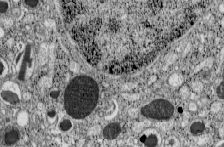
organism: C57BL Mouse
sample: Pancreatic islet